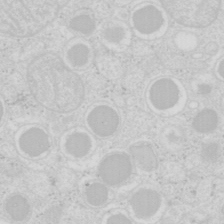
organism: Mouse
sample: Pancreas